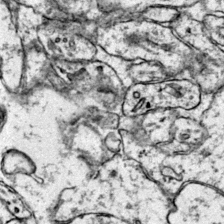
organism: Mouse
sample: Primary visual cortex